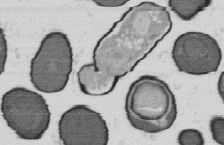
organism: B. subtilis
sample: Bacterial spore